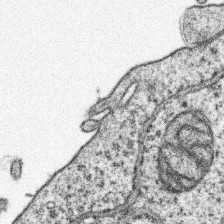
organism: Human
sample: HeLa cells